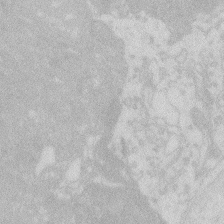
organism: Zebrafish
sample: Macrophage